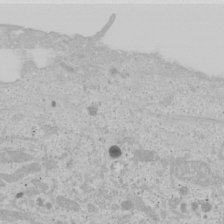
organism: Human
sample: Mitochondria in U2OS cells